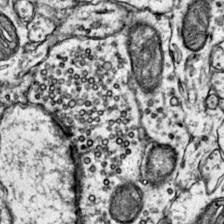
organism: Mouse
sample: Primary visual cortex